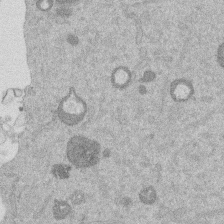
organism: Mouse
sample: Dividing mouse embryo 1 cell stage